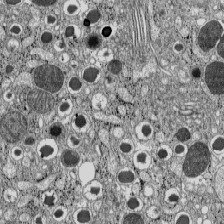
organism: C57BL Mouse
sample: Pancreatic islet